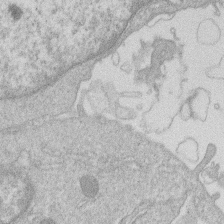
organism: Human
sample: Macrophage cells